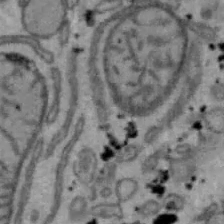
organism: Mouse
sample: Liver